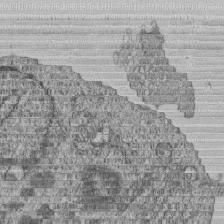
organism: Human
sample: MDA-MB-231 cells